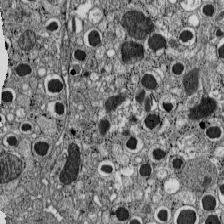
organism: C57BL Mouse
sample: Pancreatic islet